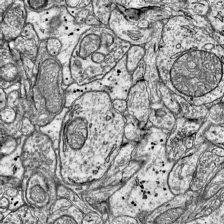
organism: Mouse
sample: Visual Cortex